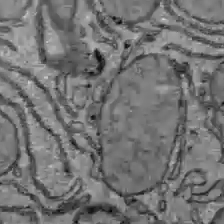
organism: C57BL Mouse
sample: Liver